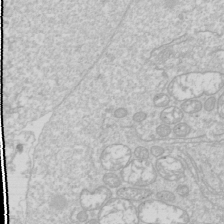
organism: Drosophila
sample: Cell division; meiosis; drosophila spermatocytes